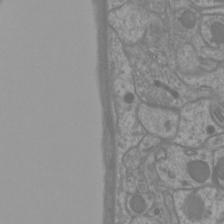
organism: Mouse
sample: Cortical neurons